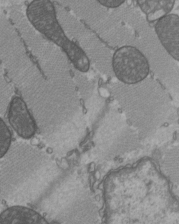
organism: C57BL Mouse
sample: Heart